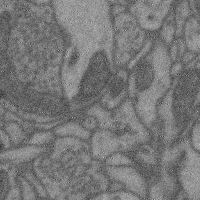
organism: Mouse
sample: Cerebral cortex